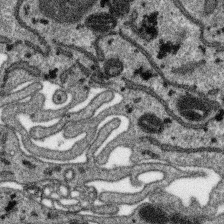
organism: Human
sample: Lung epithelial cells infected with SARS-CoV-2